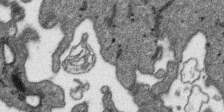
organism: Human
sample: Lung epithelial cells infected with SARS-CoV-2